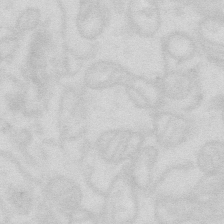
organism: Human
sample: HeLa cells